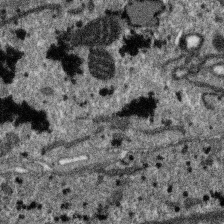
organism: Human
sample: Lung epithelial cells infected with SARS-CoV-2